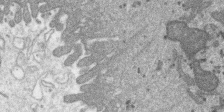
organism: Human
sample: Lung epithelial cells infected with SARS-CoV-2